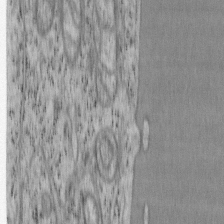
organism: Human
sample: HeLa cells